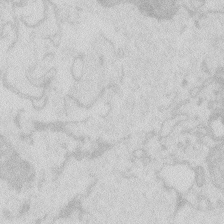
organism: Zebrafish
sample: Macrophage